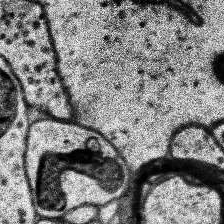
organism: Human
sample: Temporal Lobe